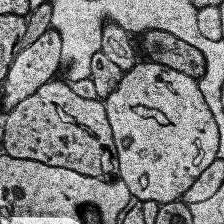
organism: Human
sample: Temporal Lobe